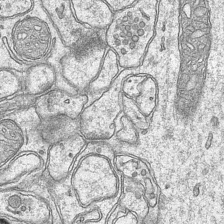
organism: Mouse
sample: CA1 Hippocampus